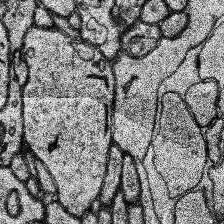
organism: Human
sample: Temporal Lobe